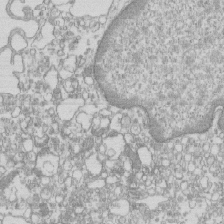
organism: Mouse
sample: Macrophages